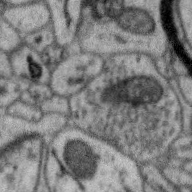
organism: Zebra finch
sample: Brain